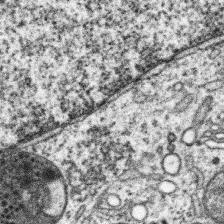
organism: Human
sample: HeLa cells